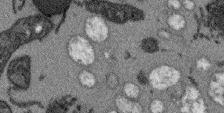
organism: Arabidopsis thaliana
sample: Root tip